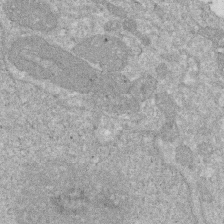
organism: Human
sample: HIV infected U937 cells